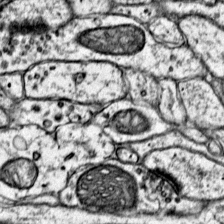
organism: Mouse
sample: Primary visual cortex